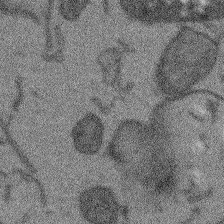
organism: Arabidopsis thaliana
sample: Root tip